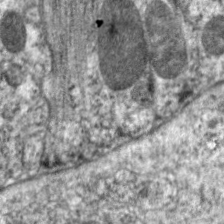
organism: C. elegans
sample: Pharynx